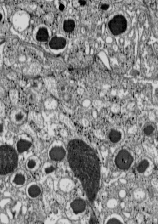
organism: C57BL Mouse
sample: Pancreatic islet